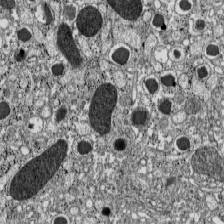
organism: C57BL Mouse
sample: Pancreatic islet